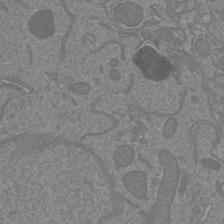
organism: Mouse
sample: Cortical neurons